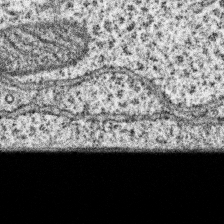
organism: Human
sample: HeLa cells